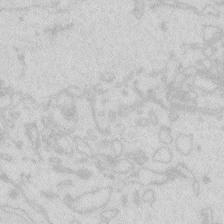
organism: Zebrafish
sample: Macrophage